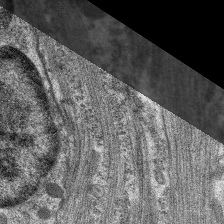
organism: C. elegans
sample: Pharynx